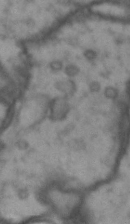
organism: Drosophila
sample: Brain